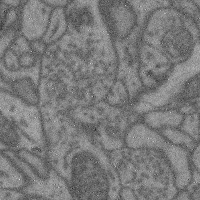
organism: Mouse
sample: Cerebral cortex